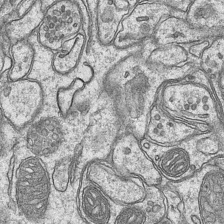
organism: Mouse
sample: CA1 Hippocampus